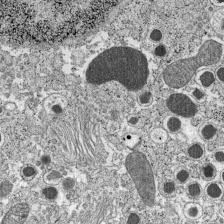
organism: C57BL Mouse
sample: Pancreatic islet